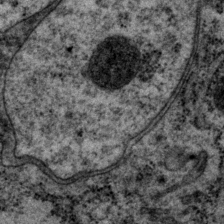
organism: P. pacificus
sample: Pharynx